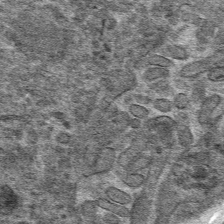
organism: Mouse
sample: Mouse hepatocytes